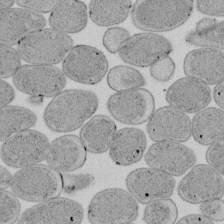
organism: E. coli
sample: Bacterial nucleoid